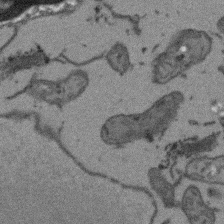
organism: Arabidopsis thaliana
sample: Root tip